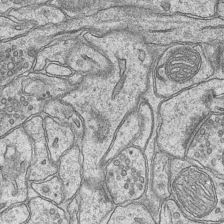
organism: Mouse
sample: CA1 Hippocampus